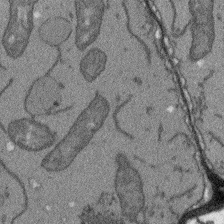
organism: Arabidopsis thaliana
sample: Root tip